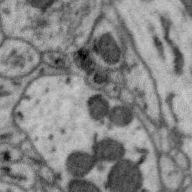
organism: Zebra finch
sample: Brain